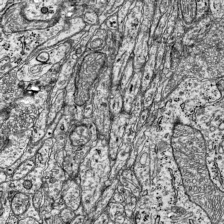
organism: Mouse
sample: Visual Cortex